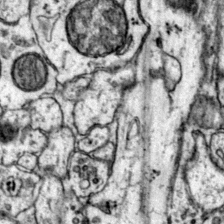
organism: Mouse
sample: Primary visual cortex